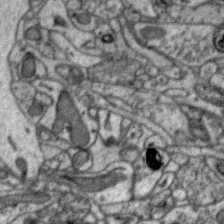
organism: Zebra finch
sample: Brain